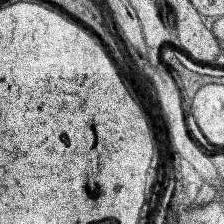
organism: Human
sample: Temporal Lobe